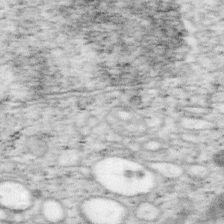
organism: Mouse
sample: OT-I killer T cells with ID8 ovarian cancer cells